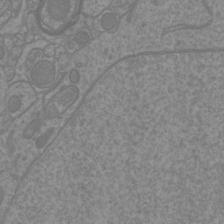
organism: Mouse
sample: Cortical neurons